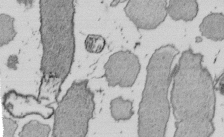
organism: E. coli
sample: Bacterial nucleoid